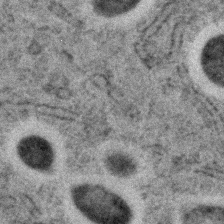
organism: C. elegans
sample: C. elegans embryo